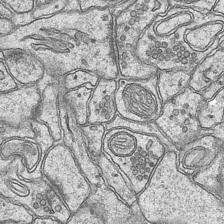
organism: Mouse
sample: CA1 Hippocampus